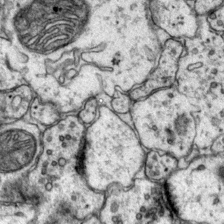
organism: Mouse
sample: Primary visual cortex